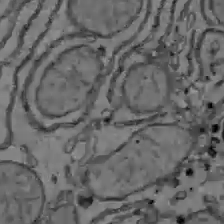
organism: C57BL Mouse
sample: Liver